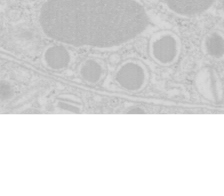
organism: Mouse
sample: Pancreas